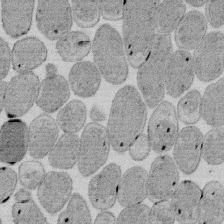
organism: E. coli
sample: Bacterial nucleoid